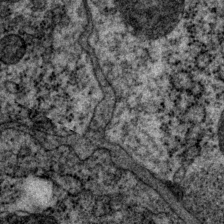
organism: P. pacificus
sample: Pharynx